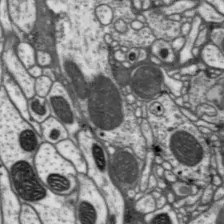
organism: Drosophila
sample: Protocerebral bridge